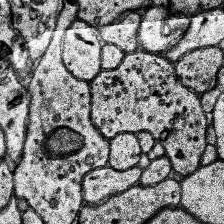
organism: Human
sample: Temporal Lobe